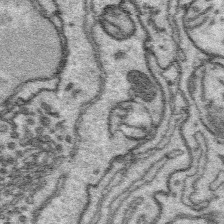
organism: Platynereis dumerilii